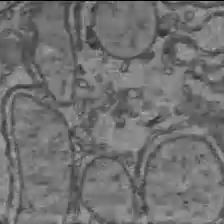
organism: C57BL Mouse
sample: Liver